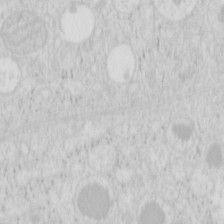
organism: Mouse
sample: Pancreas